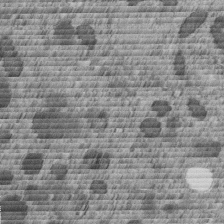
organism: C. elegans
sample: C. elegans embryo early stage